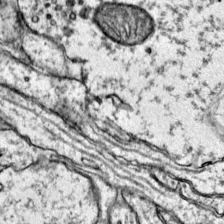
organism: Mouse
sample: Primary visual cortex